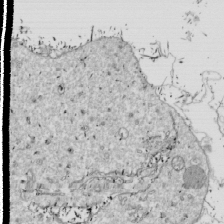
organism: Drosophila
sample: Cell division; meiosis; drosophila spermatocytes